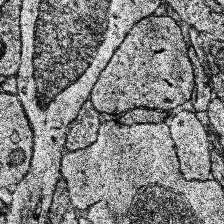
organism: Human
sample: Temporal Lobe